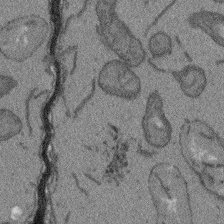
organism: Arabidopsis thaliana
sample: Root tip